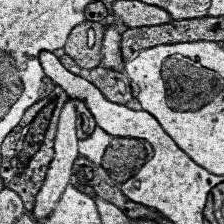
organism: Human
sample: Temporal Lobe